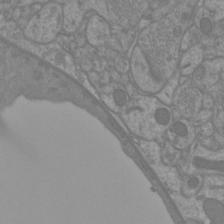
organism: Mouse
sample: Cortical neurons